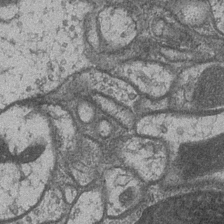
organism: Drosophila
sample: Optic medulla